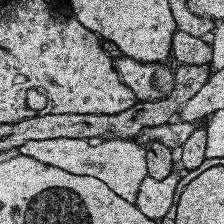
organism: Human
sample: Temporal Lobe